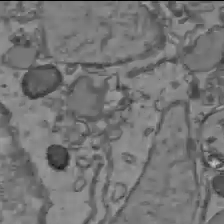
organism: C57BL Mouse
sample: Liver